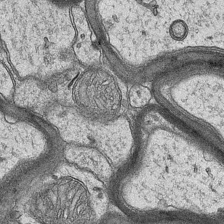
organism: Mouse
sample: CA1 Hippocampus